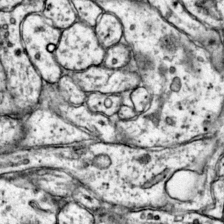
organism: Mouse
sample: Primary visual cortex